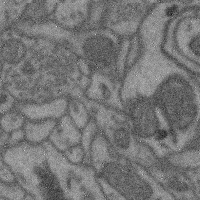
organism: Mouse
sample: Cerebral cortex